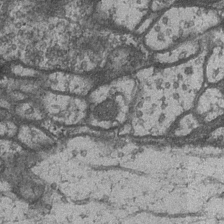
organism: Drosophila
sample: Optic medulla